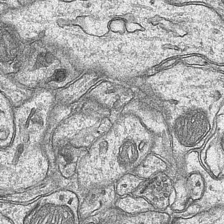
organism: Mouse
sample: CA1 Hippocampus